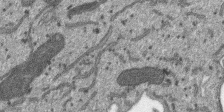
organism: Human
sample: Lung epithelial cells infected with SARS-CoV-2